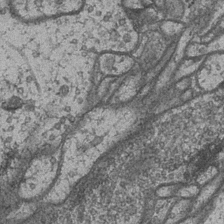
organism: Drosophila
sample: Optic medulla